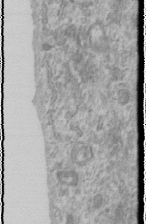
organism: Human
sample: Cilia; basal body in RPE cells